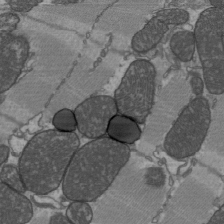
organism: C57BL Mouse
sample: Heart